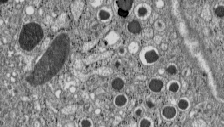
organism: C57BL Mouse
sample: Pancreatic islet